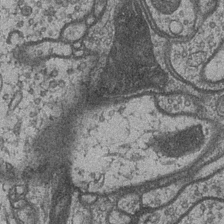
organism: Drosophila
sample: Optic medulla